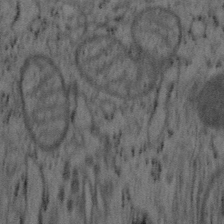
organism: Human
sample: HeLa cells